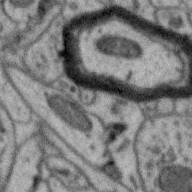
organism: Zebra finch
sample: Brain